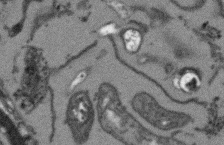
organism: Arabidopsis thaliana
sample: Root tip